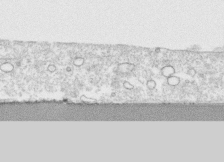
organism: Human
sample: CRL-1474